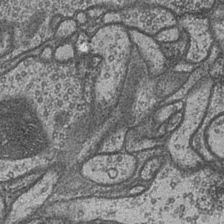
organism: Drosophila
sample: Optic medulla